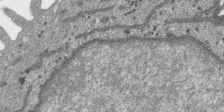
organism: Human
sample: Lung epithelial cells infected with SARS-CoV-2